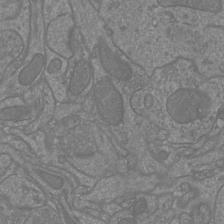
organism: Mouse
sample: Cortical neurons